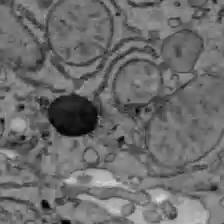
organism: C57BL Mouse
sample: Liver